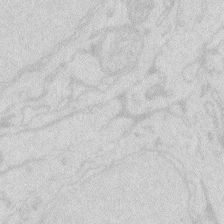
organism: Zebrafish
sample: Macrophage